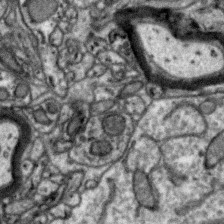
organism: Zebra finch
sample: Brain